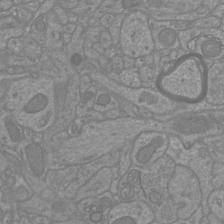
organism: Mouse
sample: Cortical neurons